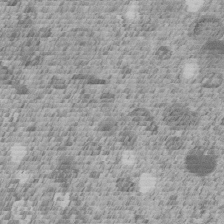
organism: C. elegans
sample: C. elegans embryo early stage